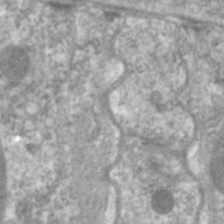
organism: C. elegans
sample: Pharynx